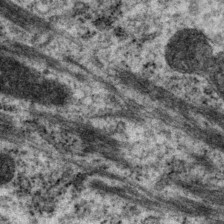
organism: P. pacificus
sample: Pharynx